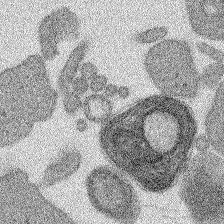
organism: Human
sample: HeLa cells